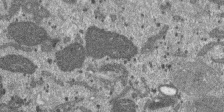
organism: Human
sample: Lung epithelial cells infected with SARS-CoV-2